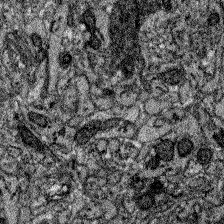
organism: Zebrafish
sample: Larval olfactory bulb